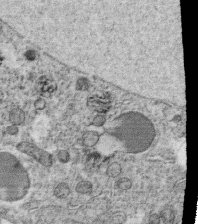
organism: C. elegans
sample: C. elegans oocyte; sperm cells